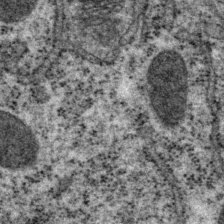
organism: P. pacificus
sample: Pharynx